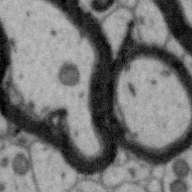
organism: Zebra finch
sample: Brain